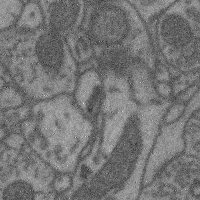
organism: Mouse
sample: Cerebral cortex